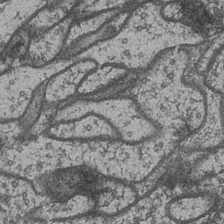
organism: Drosophila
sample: Optic medulla